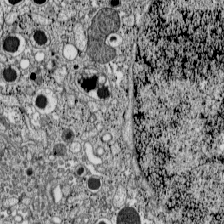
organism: C57BL Mouse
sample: Pancreatic islet